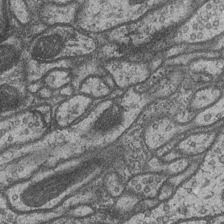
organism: Drosophila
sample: Optic medulla